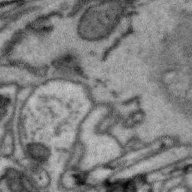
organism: Zebra finch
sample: Brain